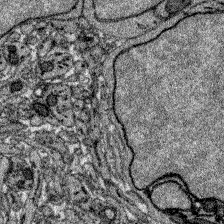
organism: Zebrafish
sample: Larval olfactory bulb